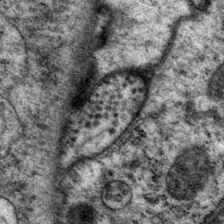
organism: P. pacificus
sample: Pharynx